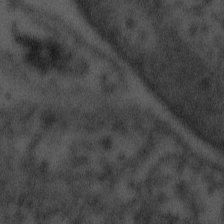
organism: Tuwongella immobilis